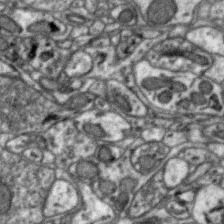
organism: Zebra finch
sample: Brain